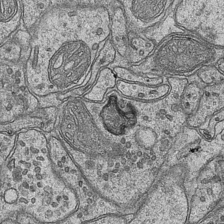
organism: Mouse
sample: CA1 Hippocampus